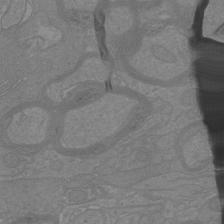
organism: Mouse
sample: Cortical neurons